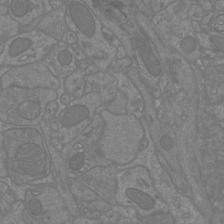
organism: Mouse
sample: Cortical neurons